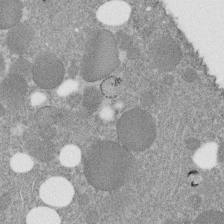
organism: C. elegans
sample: C. elegans embryo early stage